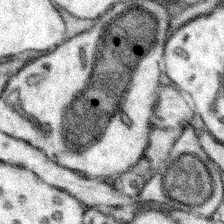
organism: Mouse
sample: Somatosensory cortex neuropil